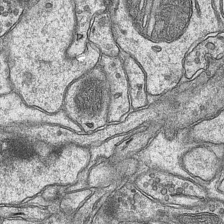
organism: Mouse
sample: CA1 Hippocampus